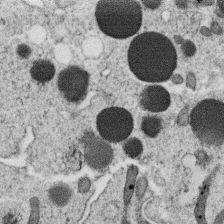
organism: C. elegans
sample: C. elegans oocyte; sperm cells